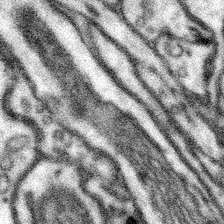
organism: Mouse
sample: Somatosensory cortex neuropil